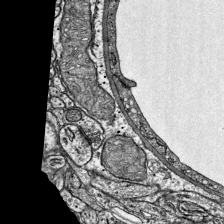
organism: Mouse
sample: Visual Cortex